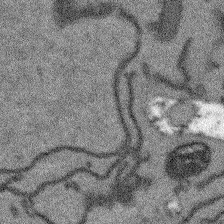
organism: Arabidopsis thaliana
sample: Root tip